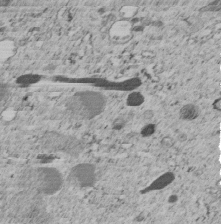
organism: C. elegans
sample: C. elegans embryo early stage